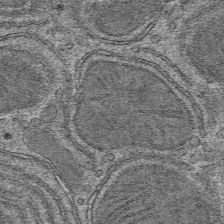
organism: Mouse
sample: Mouse hepatocytes